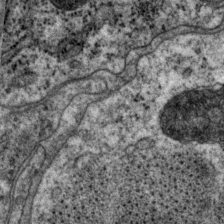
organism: P. pacificus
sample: Pharynx